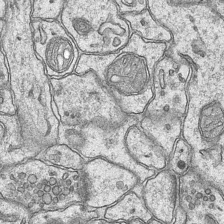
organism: Mouse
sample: CA1 Hippocampus